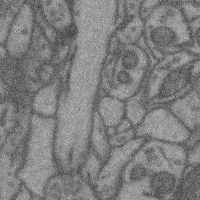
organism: Mouse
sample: Cerebral cortex